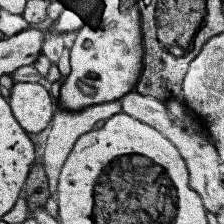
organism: Human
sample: Temporal Lobe